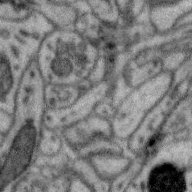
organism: Zebra finch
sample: Brain